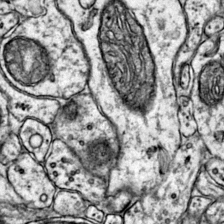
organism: Mouse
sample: Primary visual cortex